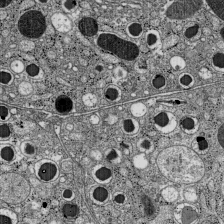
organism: C57BL Mouse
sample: Pancreatic islet